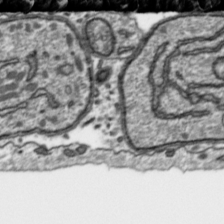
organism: Toxoplasma gondii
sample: Parasites in a vacuole inside a host cell